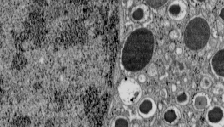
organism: C57BL Mouse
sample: Pancreatic islet